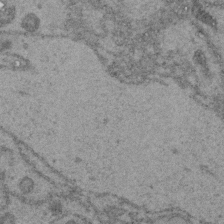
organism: C. elegans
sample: C. elegans embryo early stage